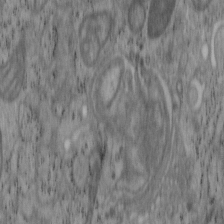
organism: Human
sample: HeLa cells